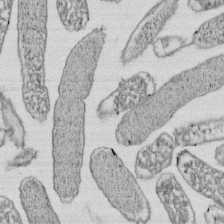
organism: E. coli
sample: Bacterial nucleoid